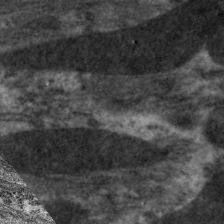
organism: C. elegans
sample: Pharynx